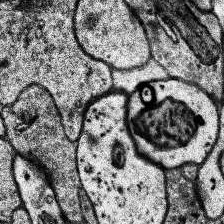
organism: Human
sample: Temporal Lobe